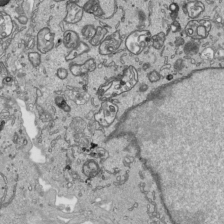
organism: Human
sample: Mitochondria in HCT116 cells